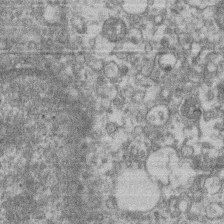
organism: Mouse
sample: T cell stromal cell synapse